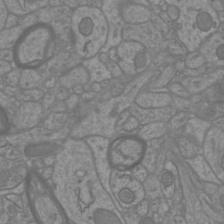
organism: Mouse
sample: Cortical neurons